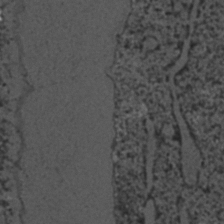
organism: C. elegans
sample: C. elegans embryo